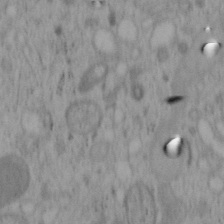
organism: Mouse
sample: OT-I killer T cells with ID8 ovarian cancer cells